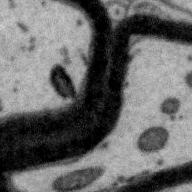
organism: Zebra finch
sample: Brain